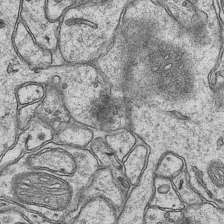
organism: Mouse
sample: CA1 Hippocampus